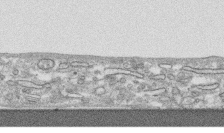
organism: Human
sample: CRL-1474